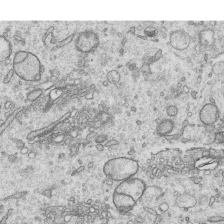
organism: Human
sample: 1205lu cells